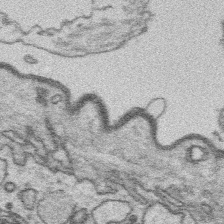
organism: Platynereis dumerilii